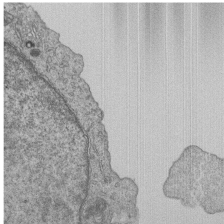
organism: Human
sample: MDA-MB-231 cells